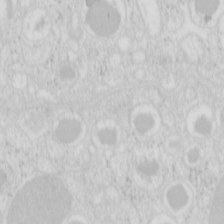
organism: Mouse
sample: Pancreas